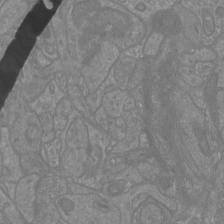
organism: Mouse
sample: Cortical neurons